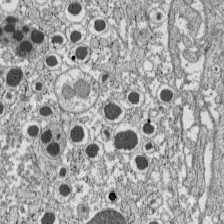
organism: C57BL Mouse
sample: Pancreatic islet